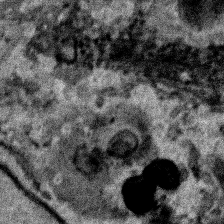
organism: Human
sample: Mitochondria in HCT116 cells